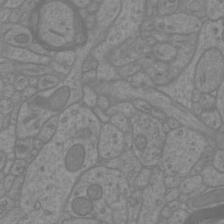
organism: Mouse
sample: Cortical neurons